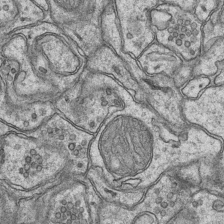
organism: Mouse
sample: CA1 Hippocampus